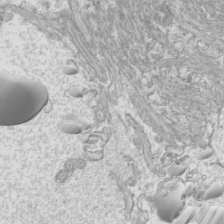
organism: Mouse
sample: Cilia; mouse epididymis